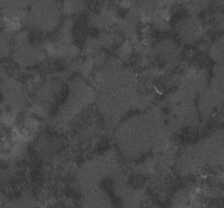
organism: C. elegans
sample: C. elegans embryo